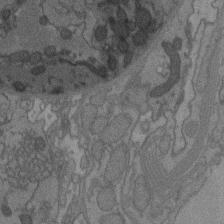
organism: C. elegans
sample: AFD neurons C. elegans